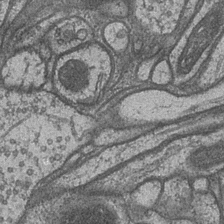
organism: Drosophila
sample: Optic medulla